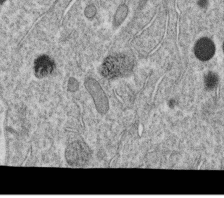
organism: C. elegans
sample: C. elegans oocyte; sperm cells